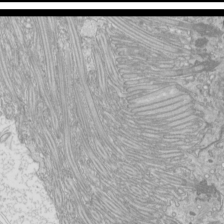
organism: Mouse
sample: Cilia; mouse epididymis